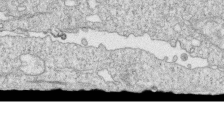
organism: Human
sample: HeLa cell HIV synapse